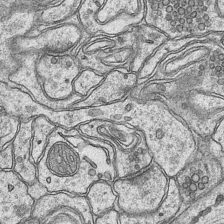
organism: Mouse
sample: CA1 Hippocampus